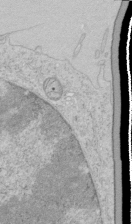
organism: Human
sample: Mitochondria in HCT116 cells